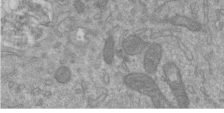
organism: Mouse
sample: ED-1 cell nuclei; centrioles